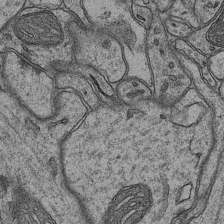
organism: Mouse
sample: CA1 Hippocampus